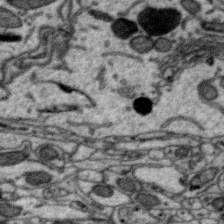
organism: Zebra finch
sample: Brain